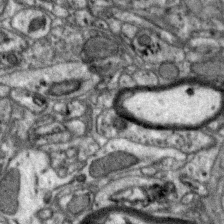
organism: Zebra finch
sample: Brain